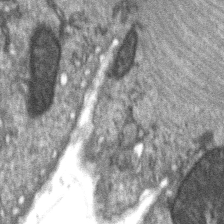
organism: C57BL Mouse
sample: Soleus